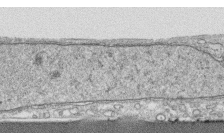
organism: Human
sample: CRL-1474